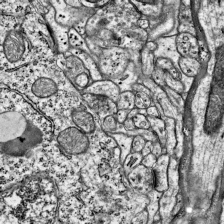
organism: Mouse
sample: Visual Cortex